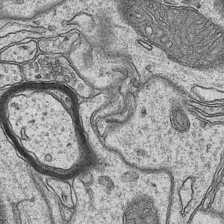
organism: Mouse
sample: CA1 Hippocampus